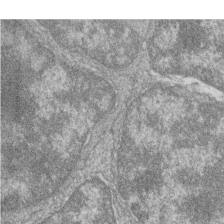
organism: Zebrafish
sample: Cilia; retinal pigment epithelium